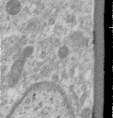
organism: Human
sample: Centriole in RPE cells